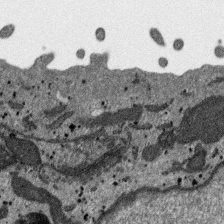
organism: Human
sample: Lung epithelial cells, uninfected (mock) control